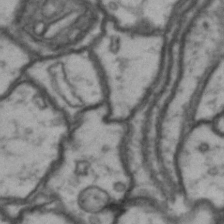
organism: Drosophila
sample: Brain